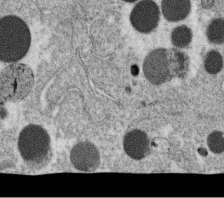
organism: C. elegans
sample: C. elegans oocyte; sperm cells